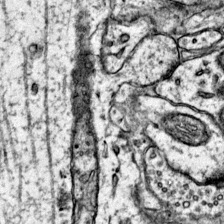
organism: Mouse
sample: Primary visual cortex